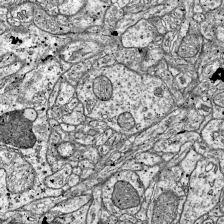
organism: Mouse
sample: Visual Cortex